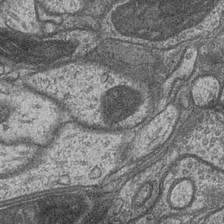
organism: Drosophila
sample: Optic medulla